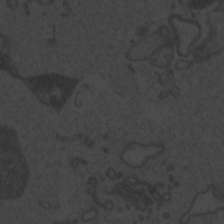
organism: Zebrafish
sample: Macrophage infected with Toxoplasma gondii